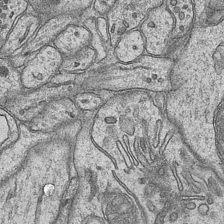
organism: Mouse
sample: CA1 Hippocampus